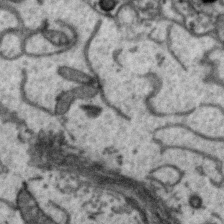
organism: Zebra finch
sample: Brain